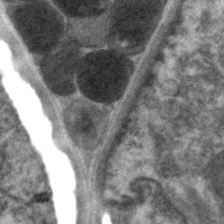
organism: C. elegans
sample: Pharynx